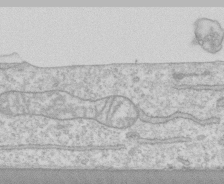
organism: Human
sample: CRL-1474